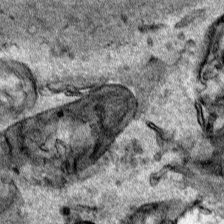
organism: Human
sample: Mitochondria in HCT116 cells